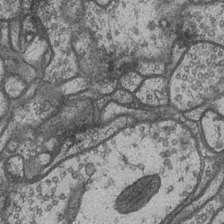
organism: Drosophila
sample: Optic medulla